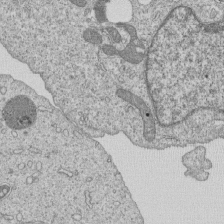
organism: Human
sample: MDA-MB-231 cells